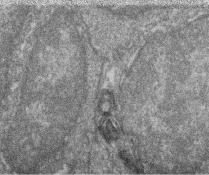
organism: Zebrafish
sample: Cilia; retinal pigment epithelium